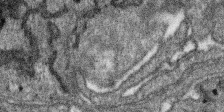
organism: Human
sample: Lung epithelial cells infected with SARS-CoV-2